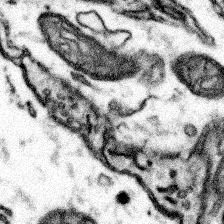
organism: Mouse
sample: Somatosensory cortex neuropil